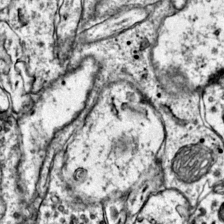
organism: Mouse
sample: Primary visual cortex